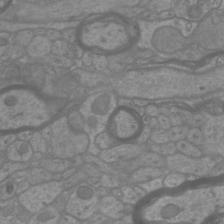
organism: Mouse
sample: Cortical neurons